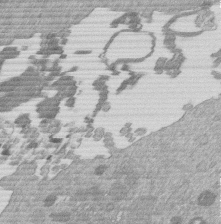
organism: Mouse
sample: Dividing mouse embryo 1 cell stage